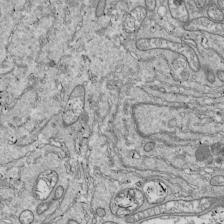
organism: Drosophila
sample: Cell division; meiosis; drosophila spermatocytes